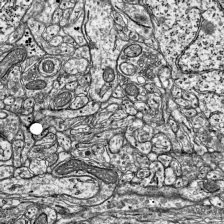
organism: Mouse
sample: Visual Cortex